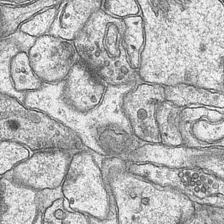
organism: Mouse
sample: CA1 Hippocampus